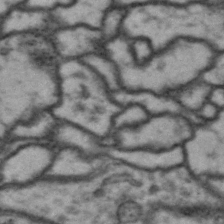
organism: Drosophila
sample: Brain